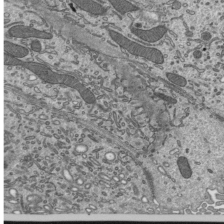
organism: Mouse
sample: Mouse epididymis efferent ductule cilia